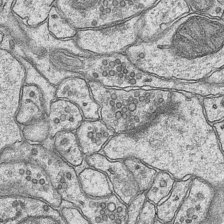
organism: Mouse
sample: CA1 Hippocampus